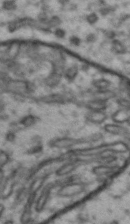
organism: Drosophila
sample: Brain